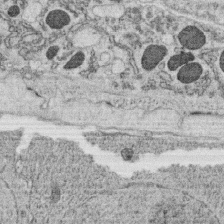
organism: C. elegans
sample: C. elegans oocyte; sperm cells